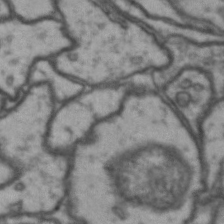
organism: Drosophila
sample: Brain